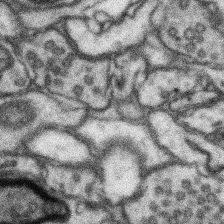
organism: Mouse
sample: Somatosensory cortex neuropil